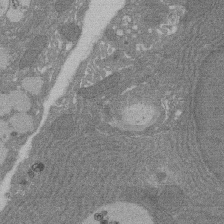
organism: Rat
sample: Salivary granule